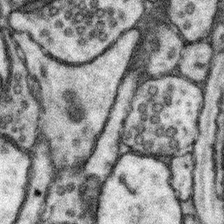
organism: Mouse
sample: Somatosensory cortex neuropil